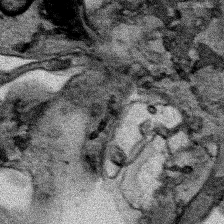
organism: Human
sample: Mitochondria in HCT116 cells